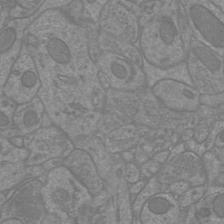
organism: Mouse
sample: Cortical neurons